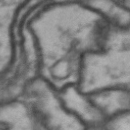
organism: Drosophila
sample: Brain